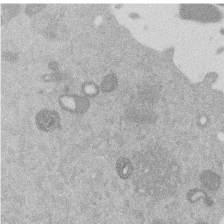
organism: Mouse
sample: Dividing mouse embryo 1 cell stage